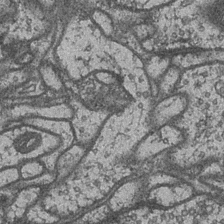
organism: Drosophila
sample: Optic medulla